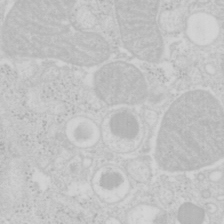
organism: Mouse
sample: Pancreas